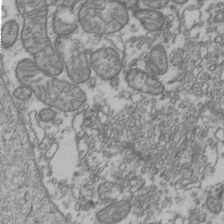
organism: Human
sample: Activated Jurkat CD4+ T cells